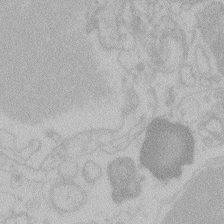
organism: Zebrafish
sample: Macrophage infected with Toxoplasma gondii